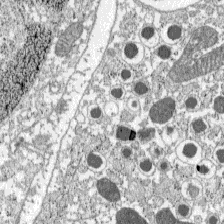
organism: C57BL Mouse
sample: Pancreatic islet